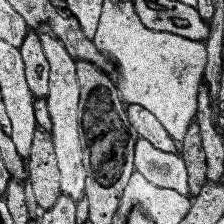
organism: Human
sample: Temporal Lobe